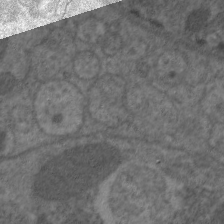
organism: C. elegans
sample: Pharynx